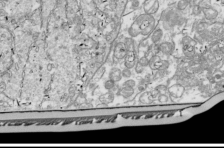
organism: Drosophila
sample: Cell division; meiosis; drosophila spermatocytes